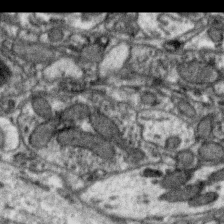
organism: Zebra finch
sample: Brain